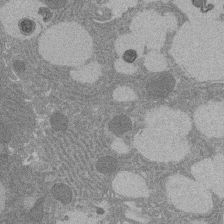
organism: Rat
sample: Salivary granule